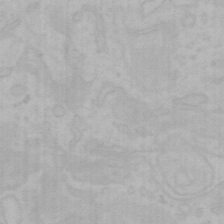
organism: Mouse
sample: Choroid plexus